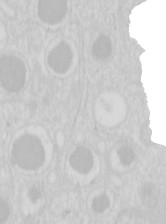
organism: Mouse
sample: Pancreas